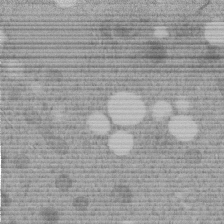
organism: C. elegans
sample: C. elegans embryo early stage